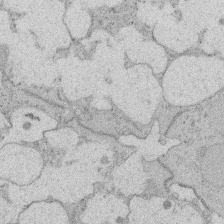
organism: Rat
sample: Salivary granule